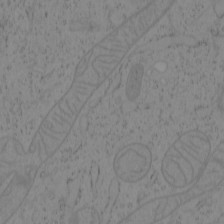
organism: Human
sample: HeLa cells